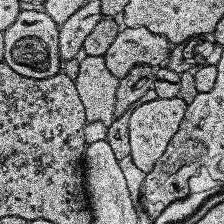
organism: Human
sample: Temporal Lobe